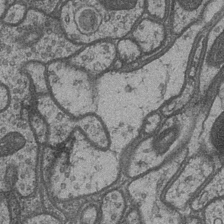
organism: Drosophila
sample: Optic medulla